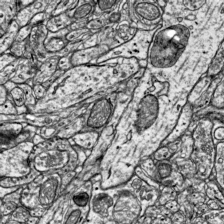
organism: Mouse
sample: Visual Cortex